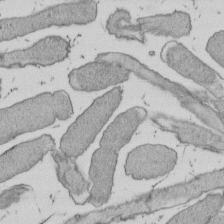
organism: E. coli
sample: Bacterial nucleoid